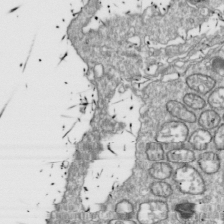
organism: Drosophila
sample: Cell division; meiosis; drosophila spermatocytes